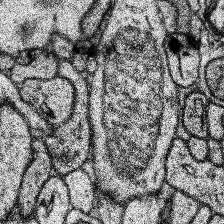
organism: Human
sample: Temporal Lobe